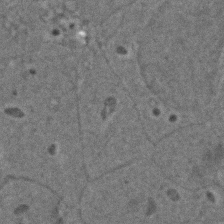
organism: Zebrafish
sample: Zebrafish embryo